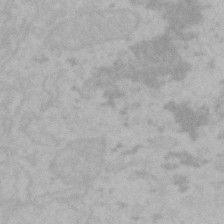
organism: Mouse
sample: Choroid plexus